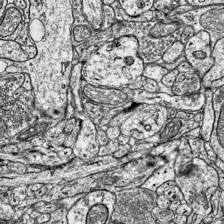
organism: Mouse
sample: Visual Cortex